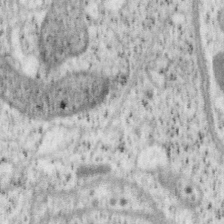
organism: Mouse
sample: OT-I killer T cells with ID8 ovarian cancer cells